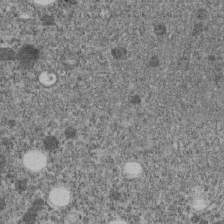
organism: C. elegans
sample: C. elegans embryo early stage